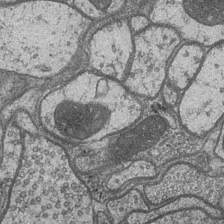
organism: Drosophila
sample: Optic medulla